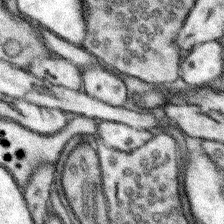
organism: Mouse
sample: Somatosensory cortex neuropil